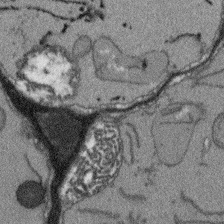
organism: Arabidopsis thaliana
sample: Root tip